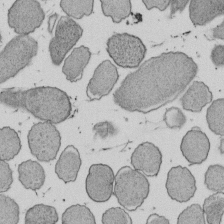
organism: E. coli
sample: Bacterial nucleoid